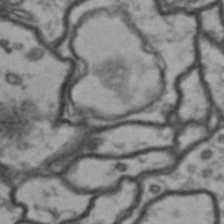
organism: Drosophila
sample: Brain